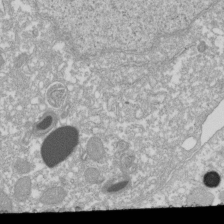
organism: Xenopus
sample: Cilia; centrioles in frog embryo cells